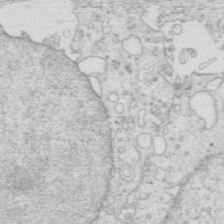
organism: Mouse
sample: Multiciliated cells